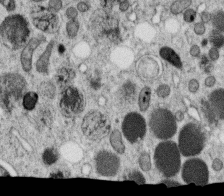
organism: C. elegans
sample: C. elegans oocyte; sperm cells